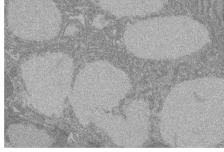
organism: Rat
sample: Salivary granule